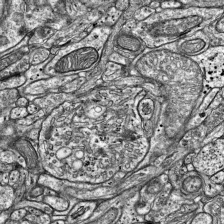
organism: Mouse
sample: Visual Cortex